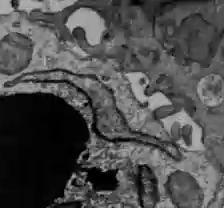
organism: C57BL Mouse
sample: Liver